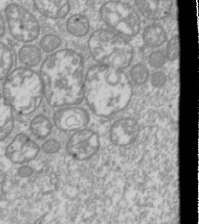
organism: Drosophila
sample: Cell division; meiosis; drosophila spermatocytes